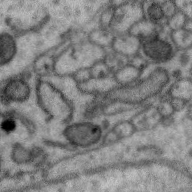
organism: Zebra finch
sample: Brain